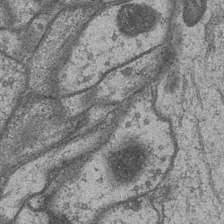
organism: Drosophila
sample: Optic medulla